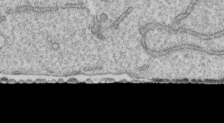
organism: Human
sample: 1205lu cells